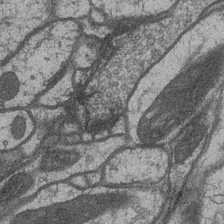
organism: Drosophila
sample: Optic medulla